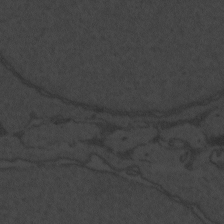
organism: Zebrafish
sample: Macrophage infected with Toxoplasma gondii